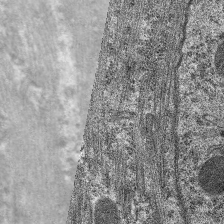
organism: C. elegans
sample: Pharynx